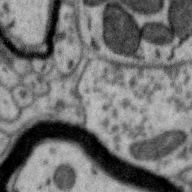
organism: Zebra finch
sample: Brain